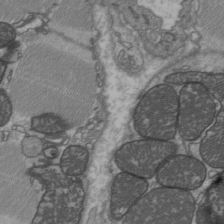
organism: C57BL Mouse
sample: Heart